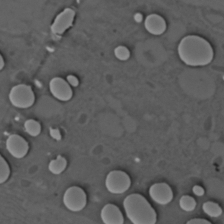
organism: C. elegans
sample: C. elegans embryo